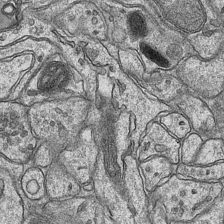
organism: Mouse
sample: CA1 Hippocampus